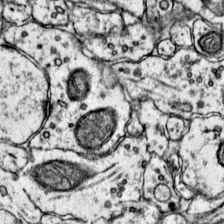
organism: Mouse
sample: Primary visual cortex